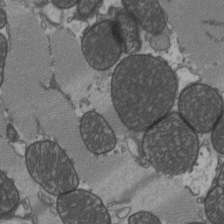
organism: C57BL Mouse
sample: Heart